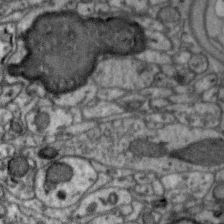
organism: Zebra finch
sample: Brain